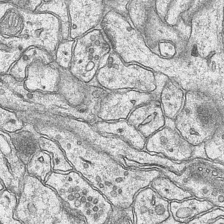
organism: Mouse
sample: CA1 Hippocampus